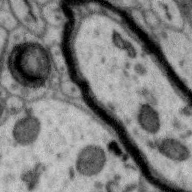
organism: Zebra finch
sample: Brain